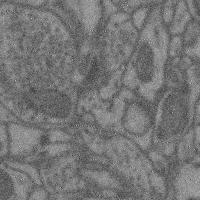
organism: Mouse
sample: Cerebral cortex